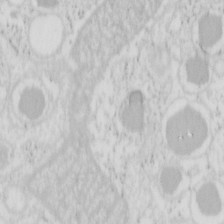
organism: Mouse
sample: Pancreas